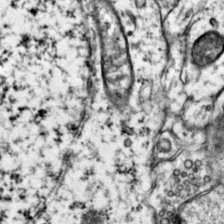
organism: Mouse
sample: Primary visual cortex